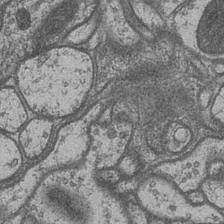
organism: Drosophila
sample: Optic medulla